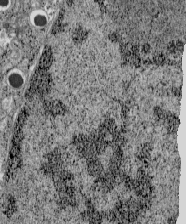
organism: C57BL Mouse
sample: Pancreatic islet